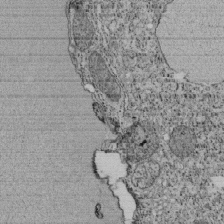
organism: Tetrahymena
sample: Cilia in tetrahymena